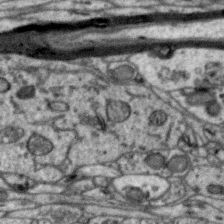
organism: Zebra finch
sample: Brain